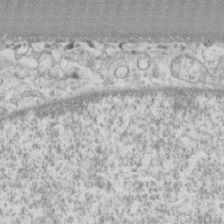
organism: Human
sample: CRL-1474